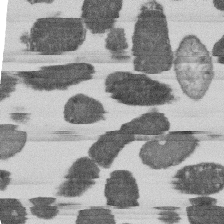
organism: E. coli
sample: Bacterial nucleoid